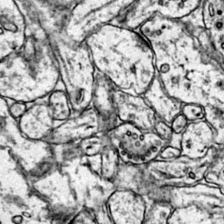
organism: Mouse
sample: Primary visual cortex